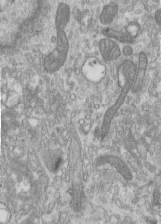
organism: Human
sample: Centriole in RPE cells